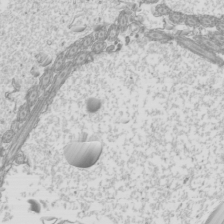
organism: Mouse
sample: Cilia; mouse epididymis